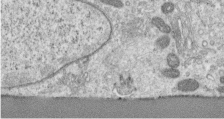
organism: Human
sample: Centriole in RPE cells